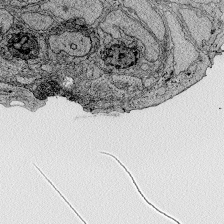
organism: Zebrafish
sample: Whole-Brain